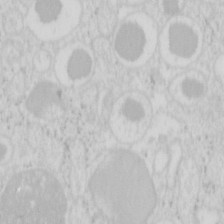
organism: Mouse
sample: Pancreas